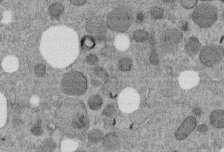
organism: C. elegans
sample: C. elegans embryo early stage